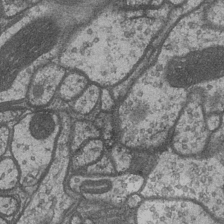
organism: Drosophila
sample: Optic medulla